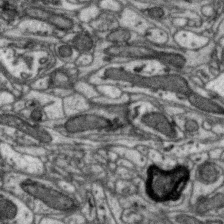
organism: Zebra finch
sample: Brain